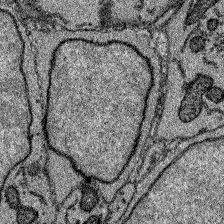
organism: Zebrafish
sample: Larval olfactory bulb